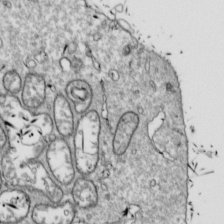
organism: Drosophila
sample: Cell division; meiosis; drosophila spermatocytes